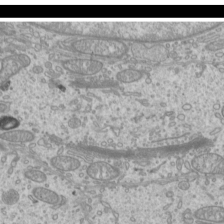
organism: Mouse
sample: Cilia; mouse epididymis